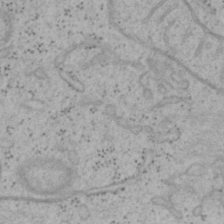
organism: Human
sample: HeLa cells